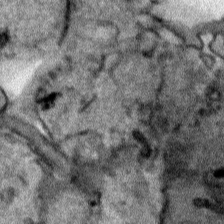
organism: Human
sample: Mitochondria in HCT116 cells